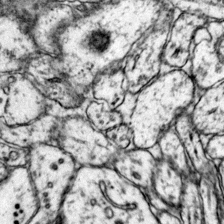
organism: Mouse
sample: Primary visual cortex